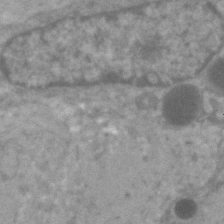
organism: Human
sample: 1205lu cells